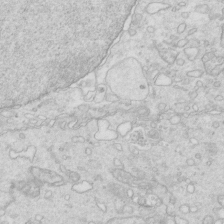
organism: Mouse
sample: Multiciliated cells